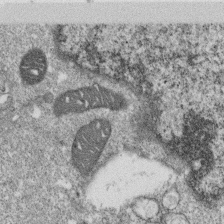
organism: African green monkey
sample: Vero E6 cells infected with SARS-CoV-2